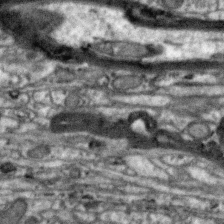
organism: Zebra finch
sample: Brain